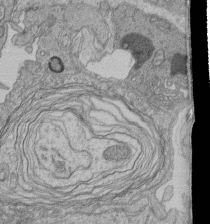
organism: Human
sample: Retinal organoid Rod and Cone cells